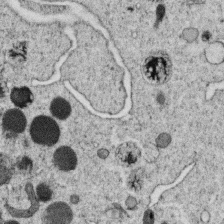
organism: C. elegans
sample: C. elegans oocyte; sperm cells